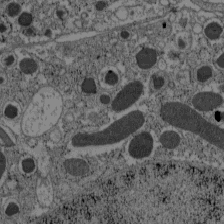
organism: C57BL Mouse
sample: Pancreatic islet